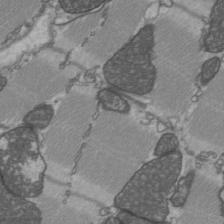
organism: C57BL Mouse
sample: Heart